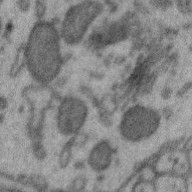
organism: Zebra finch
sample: Brain